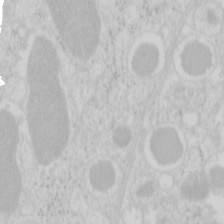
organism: Mouse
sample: Pancreas